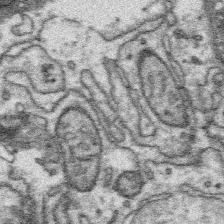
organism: Platynereis dumerilii